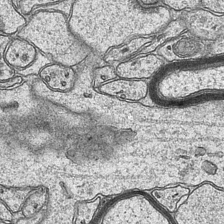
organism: Mouse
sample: CA1 Hippocampus